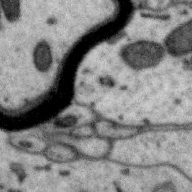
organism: Zebra finch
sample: Brain